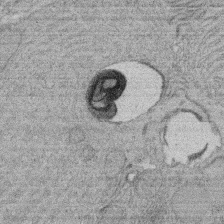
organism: Rat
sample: Salivary granule